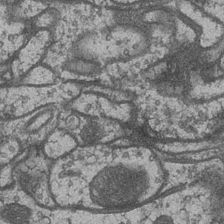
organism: Drosophila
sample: Optic medulla